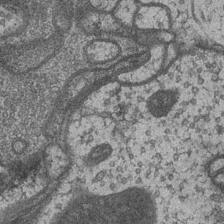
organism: Drosophila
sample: Optic medulla